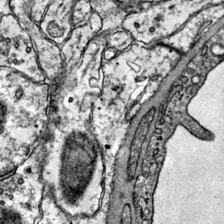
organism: Mouse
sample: Primary visual cortex